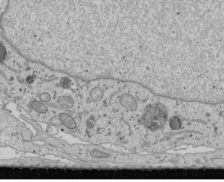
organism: Human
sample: Mitochondria in U2OS cells